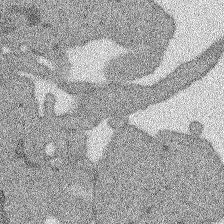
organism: Human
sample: HeLa cells